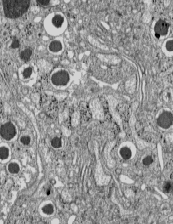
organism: C57BL Mouse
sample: Pancreatic islet